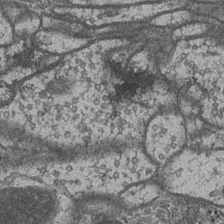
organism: Drosophila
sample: Optic medulla